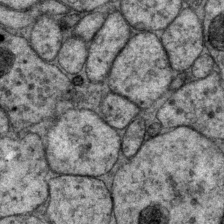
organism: P. pacificus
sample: Pharynx